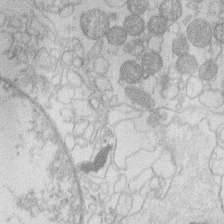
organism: Human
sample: Macrophage cells